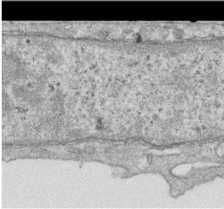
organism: Human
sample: Centriole in RPE cells